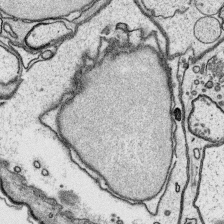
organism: Platynereis dumerilii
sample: Parapodia